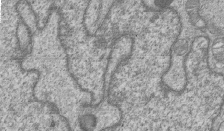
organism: Human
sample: MDA-MB-231 cells